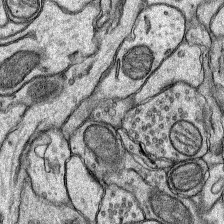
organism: Rat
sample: Hippocampus